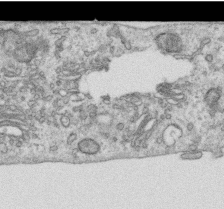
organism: Human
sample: Centriole in RPE cells